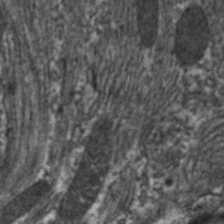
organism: C. elegans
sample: Pharynx